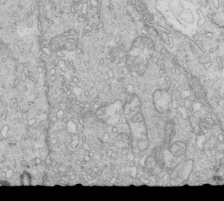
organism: Mouse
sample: Multiciliated cells